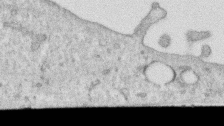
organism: Human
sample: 1205lu cells